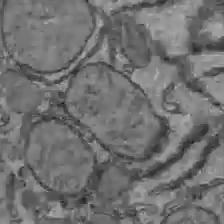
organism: C57BL Mouse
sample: Liver